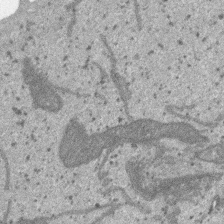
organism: Human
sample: Lung epithelial cells infected with SARS-CoV-2